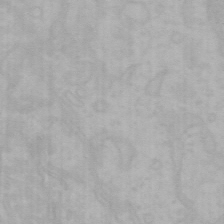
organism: Mouse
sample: Choroid plexus